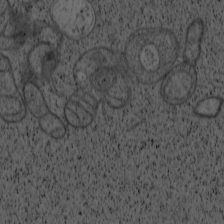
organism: African green monkey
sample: COS-7 cells